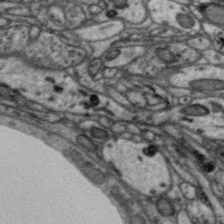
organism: Zebra finch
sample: Brain